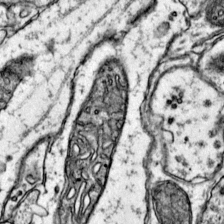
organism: Mouse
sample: Primary visual cortex